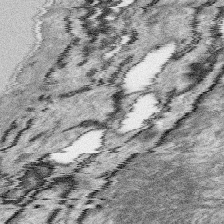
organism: Human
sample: HeLa cells